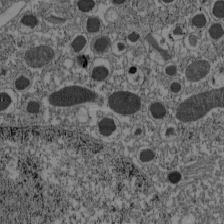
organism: C57BL Mouse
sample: Pancreatic islet